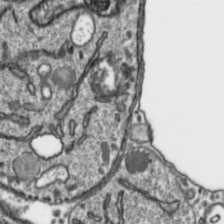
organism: Toxoplasma gondii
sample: Parasites in a vacuole inside a host cell